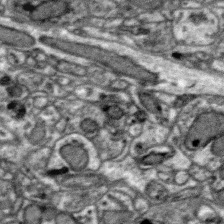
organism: Zebra finch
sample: Brain